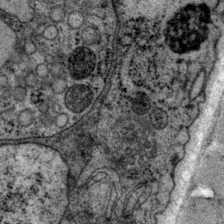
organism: P. pacificus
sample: Pharynx